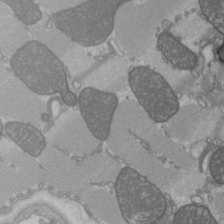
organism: C57BL Mouse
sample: Heart